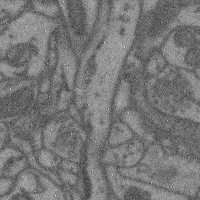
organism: Mouse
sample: Cerebral cortex